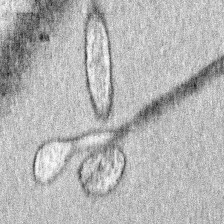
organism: Human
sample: HeLa cells